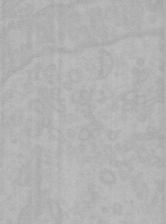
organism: Mouse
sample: Choroid plexus